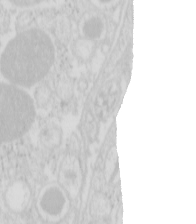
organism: Mouse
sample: Pancreas